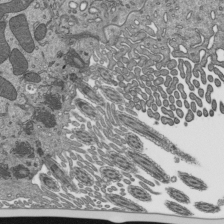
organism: Mouse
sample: Mouse epididymis efferent ductule cilia